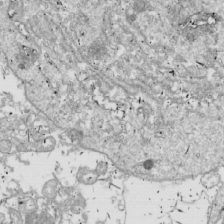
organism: Drosophila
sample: Cell division; meiosis; drosophila spermatocytes